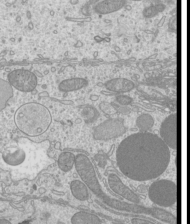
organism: Mouse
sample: Cilia; mouse epididymis